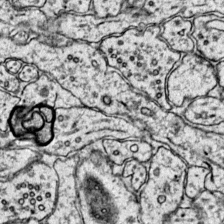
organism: Mouse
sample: Primary visual cortex